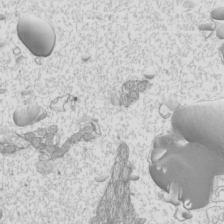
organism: Mouse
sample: Cilia; mouse epididymis